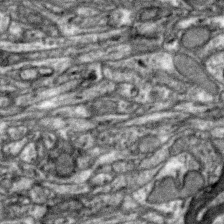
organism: Zebra finch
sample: Brain